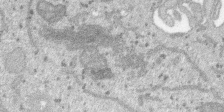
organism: Human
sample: Lung epithelial cells infected with SARS-CoV-2